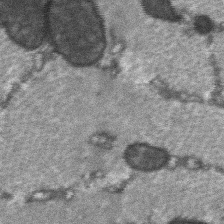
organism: C57BL Mouse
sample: Soleus